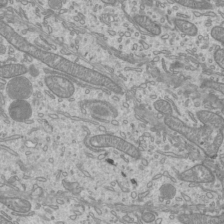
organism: Mouse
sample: Cilia; mouse epididymis